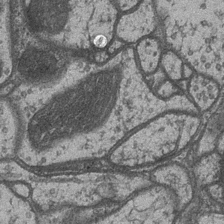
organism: Drosophila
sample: Optic medulla